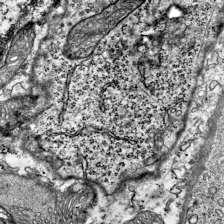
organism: Mouse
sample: Visual Cortex